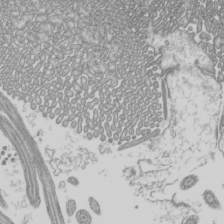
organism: Mouse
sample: Cilia; mouse epididymis